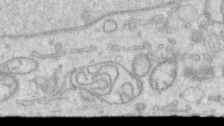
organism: Human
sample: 1205lu cells